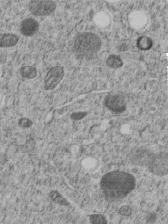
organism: C. elegans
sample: C. elegans embryo early stage